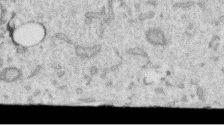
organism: Human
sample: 1205lu cells